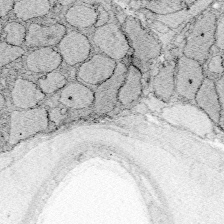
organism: Zebrafish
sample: Whole-Brain